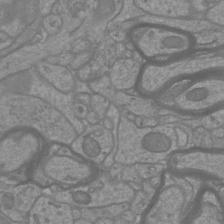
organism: Mouse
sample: Cortical neurons